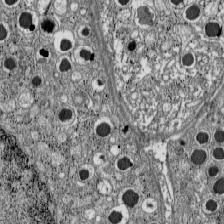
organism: C57BL Mouse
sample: Pancreatic islet